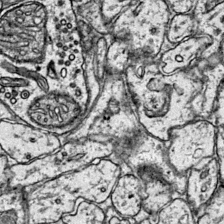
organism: Mouse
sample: Primary visual cortex